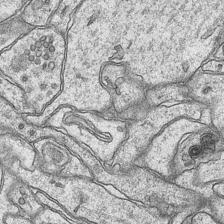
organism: Mouse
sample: CA1 Hippocampus